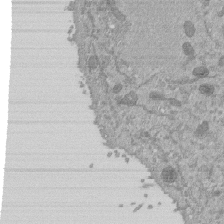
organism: Mouse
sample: ED-1 cell nuclei; centrioles